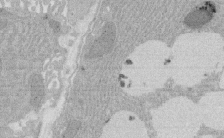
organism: Rat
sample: Salivary granule